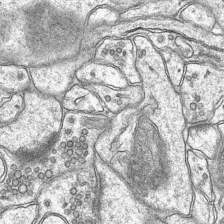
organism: Mouse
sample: CA1 Hippocampus